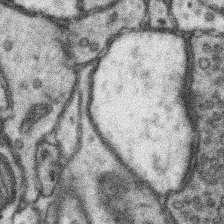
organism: Mouse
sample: Somatosensory cortex neuropil